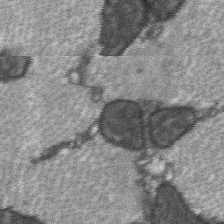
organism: C57BL Mouse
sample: Soleus